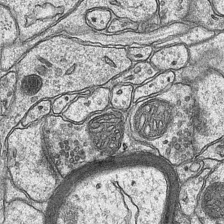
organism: Mouse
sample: CA1 Hippocampus